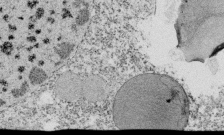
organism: Tetrahymena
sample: Cilia in tetrahymena